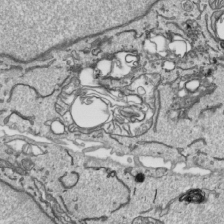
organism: Human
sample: Mitochondria in HCT116 cells